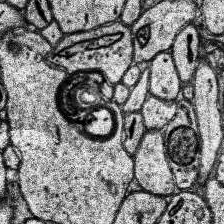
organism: Human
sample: Temporal Lobe